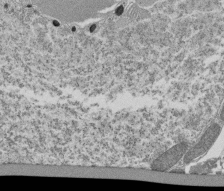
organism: Tetrahymena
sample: Cilia in tetrahymena